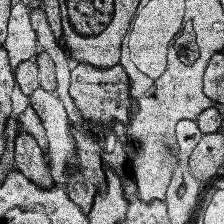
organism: Human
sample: Temporal Lobe